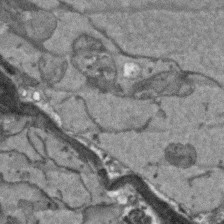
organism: Arabidopsis thaliana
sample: Root tip